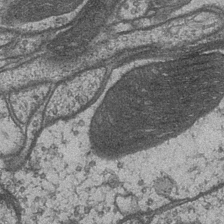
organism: Drosophila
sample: Optic medulla